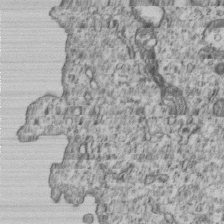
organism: Human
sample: MDA-MB-231 cells